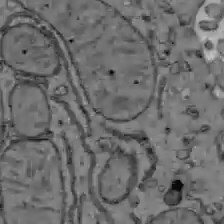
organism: C57BL Mouse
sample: Liver